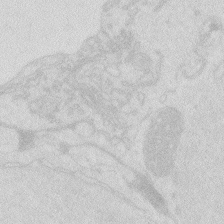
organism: Zebrafish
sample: Macrophage